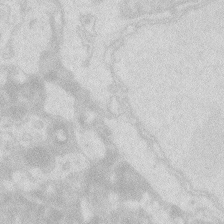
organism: Zebrafish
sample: Macrophage